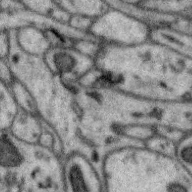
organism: Zebra finch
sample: Brain